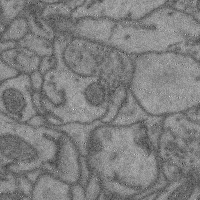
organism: Mouse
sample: Cerebral cortex